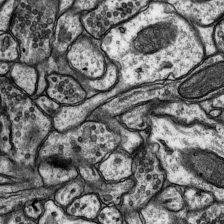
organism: Rat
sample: Hippocampus